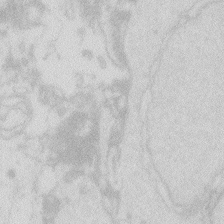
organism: Zebrafish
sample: Macrophage